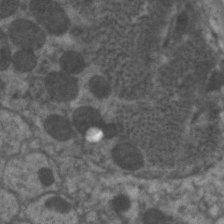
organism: C. elegans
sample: Pharynx